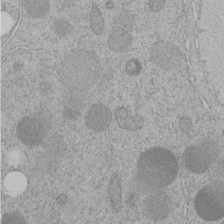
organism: C. elegans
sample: C. elegans embryo early stage